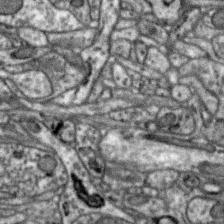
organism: Zebra finch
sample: Brain